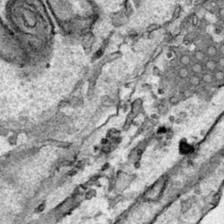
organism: Human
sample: Mitochondria in HCT116 cells